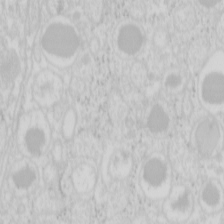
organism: Mouse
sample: Pancreas